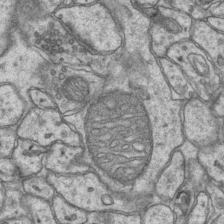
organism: Mouse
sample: CA1 Hippocampus